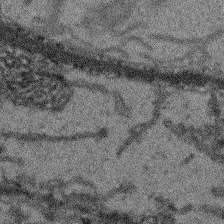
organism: Arabidopsis thaliana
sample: Root tip